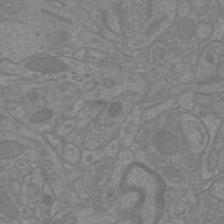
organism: Mouse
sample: Cortical neurons